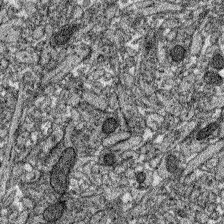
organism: Zebrafish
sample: Larval olfactory bulb